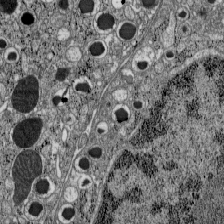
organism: C57BL Mouse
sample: Pancreatic islet